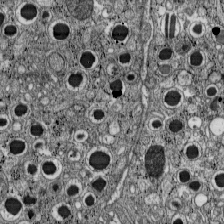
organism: C57BL Mouse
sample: Pancreatic islet